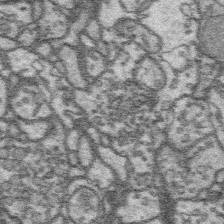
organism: Platynereis dumerilii